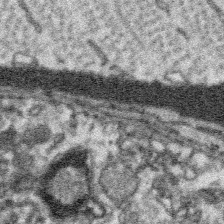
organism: Platynereis dumerilii